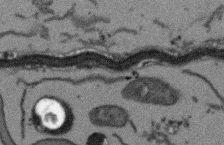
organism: Arabidopsis thaliana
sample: Root tip